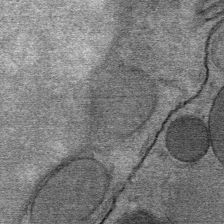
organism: Mouse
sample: Mouse Salivary gland